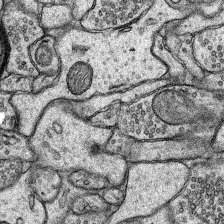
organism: Rat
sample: Hippocampus